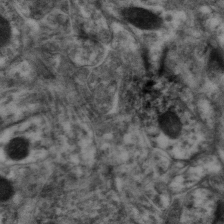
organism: Mouse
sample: Neocortex